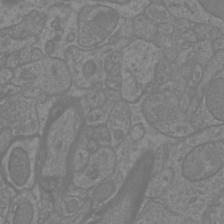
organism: Mouse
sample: Cortical neurons